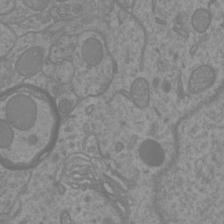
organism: Mouse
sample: Cortical neurons